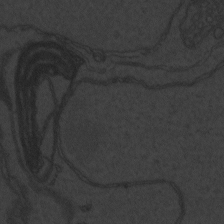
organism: Zebrafish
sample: Macrophage infected with Toxoplasma gondii